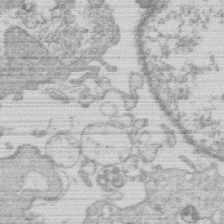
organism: Human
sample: Macrophage cells